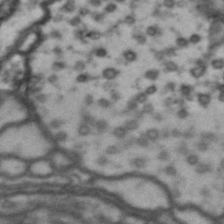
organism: Drosophila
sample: Brain